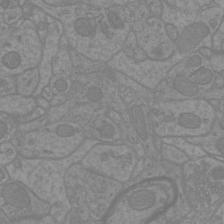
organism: Mouse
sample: Cortical neurons